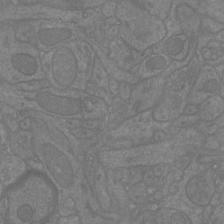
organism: Mouse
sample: Cortical neurons